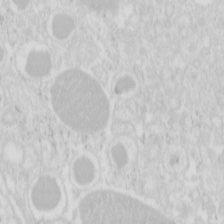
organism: Mouse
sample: Pancreas